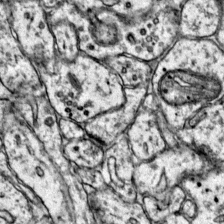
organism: Mouse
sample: Primary visual cortex